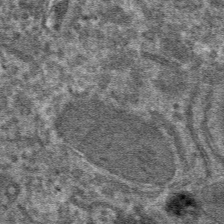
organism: Mouse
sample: Mouse hepatocytes